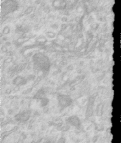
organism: Human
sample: Centriole in RPE cells